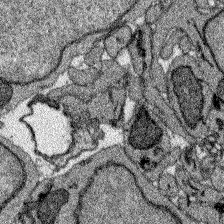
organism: Zebrafish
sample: Larval olfactory bulb